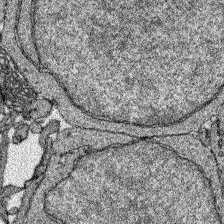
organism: Zebrafish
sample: Larval olfactory bulb